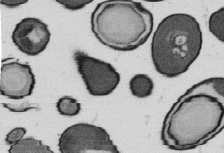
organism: B. subtilis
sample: Bacterial spore